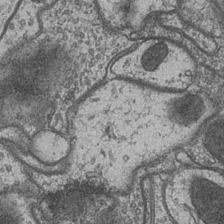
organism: Drosophila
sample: Optic medulla